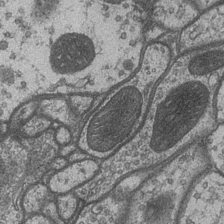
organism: Drosophila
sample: Optic medulla